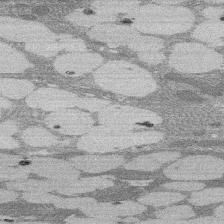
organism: Rat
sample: Salivary granule